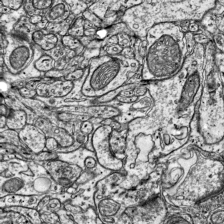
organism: Mouse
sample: Visual Cortex